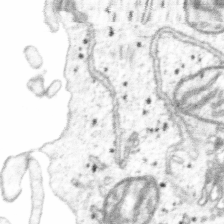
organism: Human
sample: HeLa cells